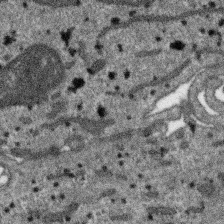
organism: Human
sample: Lung epithelial cells infected with SARS-CoV-2